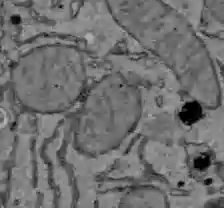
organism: C57BL Mouse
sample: Liver